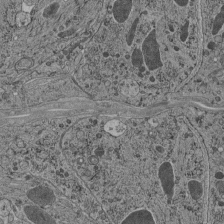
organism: C. elegans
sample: C. elegans pharynx